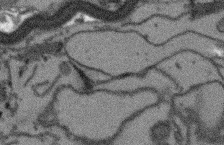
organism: Arabidopsis thaliana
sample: Root tip